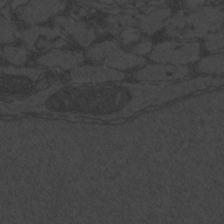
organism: Zebrafish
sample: Macrophage infected with Toxoplasma gondii